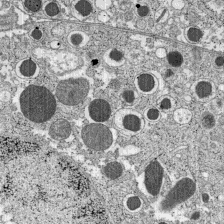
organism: C57BL Mouse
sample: Pancreatic islet